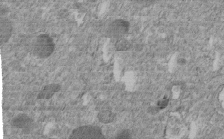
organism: C. elegans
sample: C. elegans embryo early stage